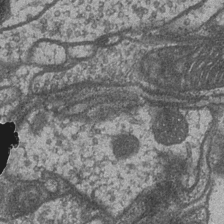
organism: Drosophila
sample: Optic medulla